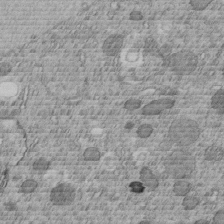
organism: C. elegans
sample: C. elegans embryo early stage